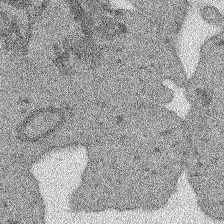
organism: Human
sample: HeLa cells